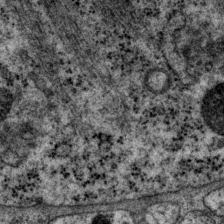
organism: P. pacificus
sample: Pharynx